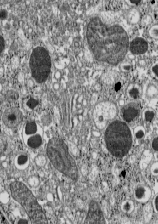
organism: C57BL Mouse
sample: Pancreatic islet